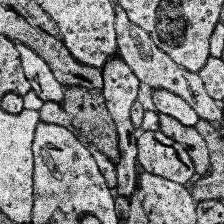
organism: Human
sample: Temporal Lobe